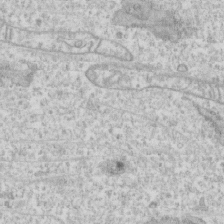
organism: Human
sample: CRL-1474